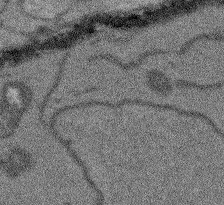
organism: Arabidopsis thaliana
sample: Root tip